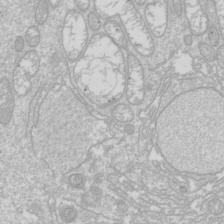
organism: Drosophila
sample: Cell division; meiosis; drosophila spermatocytes